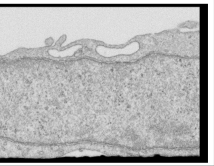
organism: Human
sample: Centriole in RPE cells